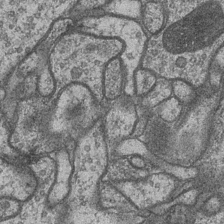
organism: Drosophila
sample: Optic medulla